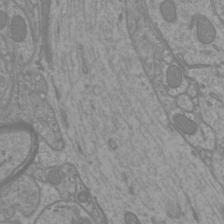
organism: Mouse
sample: Cortical neurons